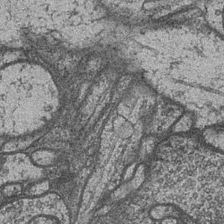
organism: Drosophila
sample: Optic medulla